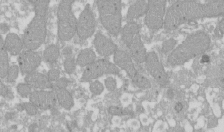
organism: Xenopus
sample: Cilia; centrioles in frog embryo cells